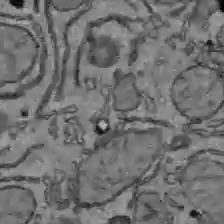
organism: C57BL Mouse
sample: Liver